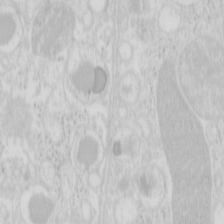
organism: Mouse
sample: Pancreas